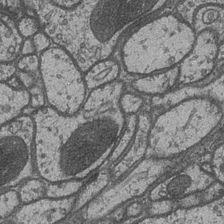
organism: Drosophila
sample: Optic medulla